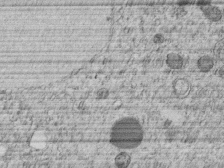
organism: C. elegans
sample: C. elegans embryo early stage